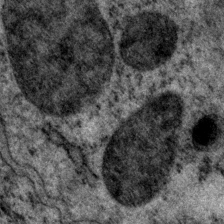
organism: P. pacificus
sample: Pharynx